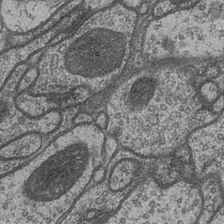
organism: Drosophila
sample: Optic medulla